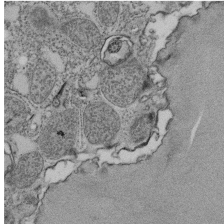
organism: Tetrahymena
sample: Cilia in tetrahymena